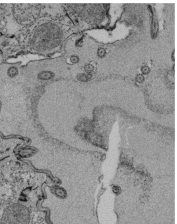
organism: Tetrahymena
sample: Cilia in tetrahymena